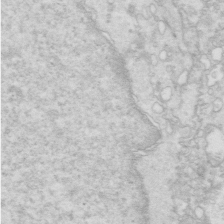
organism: Mouse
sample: Multiciliated cells